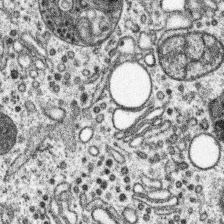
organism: Human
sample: HeLa cells